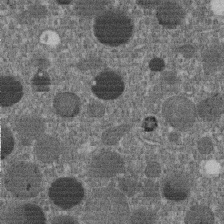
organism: C. elegans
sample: C. elegans embryo early stage